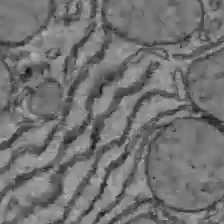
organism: C57BL Mouse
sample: Liver